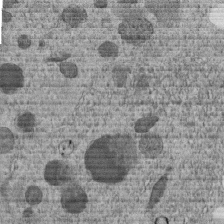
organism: C. elegans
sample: C. elegans embryo early stage